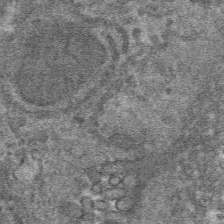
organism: Mouse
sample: Mouse hepatocytes